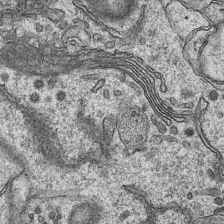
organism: Mouse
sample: CA1 Hippocampus